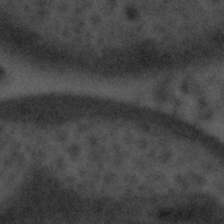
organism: Tuwongella immobilis